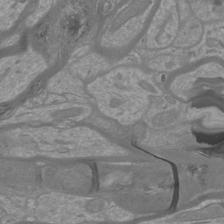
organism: Mouse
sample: Cortical neurons